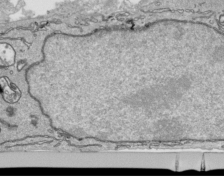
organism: Human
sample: Mitochondria in HCT116 cells